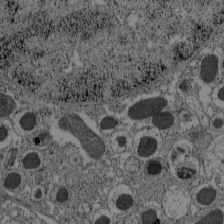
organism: C57BL Mouse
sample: Pancreatic islet